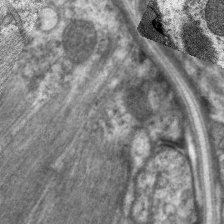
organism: C. elegans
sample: Pharynx